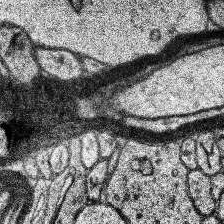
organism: Human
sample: Temporal Lobe